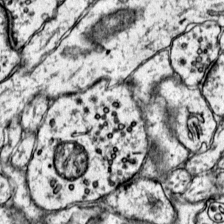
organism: Mouse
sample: Primary visual cortex